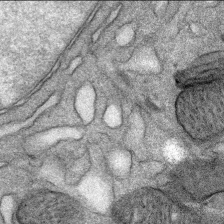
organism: Mouse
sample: Mouse Salivary gland